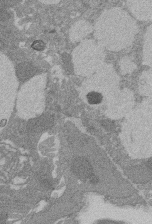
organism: Rat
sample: Salivary granule